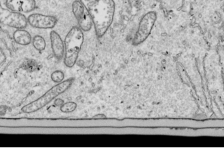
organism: Drosophila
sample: Cell division; meiosis; drosophila spermatocytes